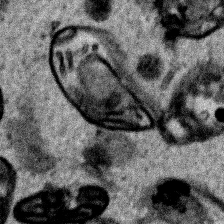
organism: Human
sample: Mitochondria in HCT116 cells